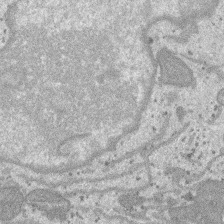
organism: Human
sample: Lung epithelial cells infected with SARS-CoV-2